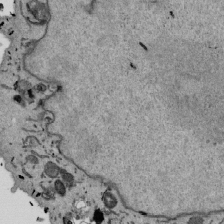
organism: Mouse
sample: ED-1 cell nuclei; centrioles